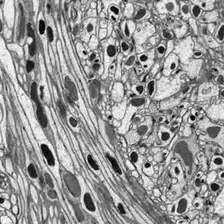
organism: Drosophila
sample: Optic lobe